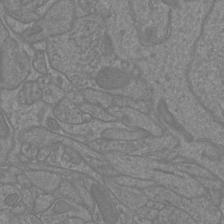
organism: Mouse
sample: Cortical neurons